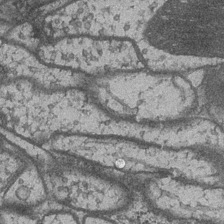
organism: Drosophila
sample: Optic medulla